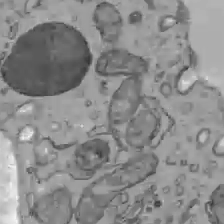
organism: C57BL Mouse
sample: Liver